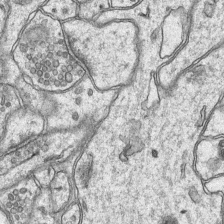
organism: Mouse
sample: CA1 Hippocampus